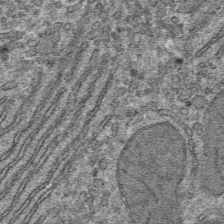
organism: Mouse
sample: Mouse hepatocytes